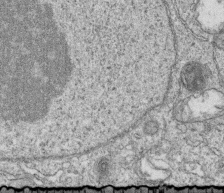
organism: Human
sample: HeLa cell HIV synapse